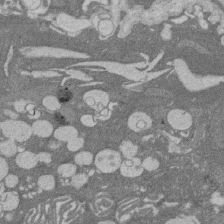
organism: Rat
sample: Salivary granule